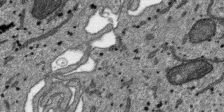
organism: Human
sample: Lung epithelial cells, uninfected (mock) control